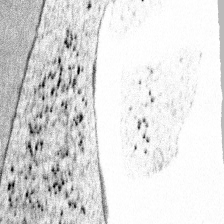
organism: Human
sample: HeLa cells